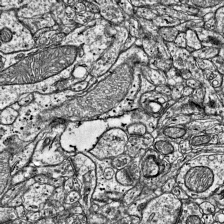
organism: Mouse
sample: Visual Cortex